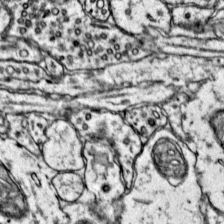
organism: Mouse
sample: Primary visual cortex